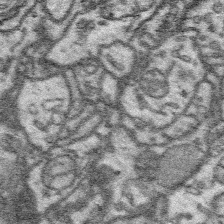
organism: Platynereis dumerilii